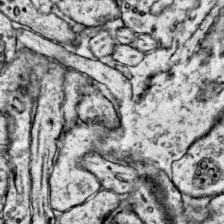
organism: Mouse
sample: Primary visual cortex